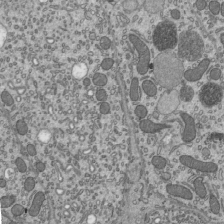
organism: Mouse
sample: Mouse epididymis efferent ductule cilia